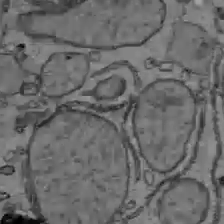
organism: C57BL Mouse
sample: Liver